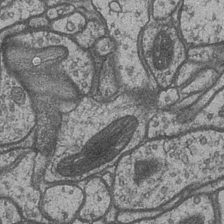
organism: Drosophila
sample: Optic medulla